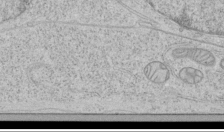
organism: Human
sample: Mitochondria in HCT116 cells